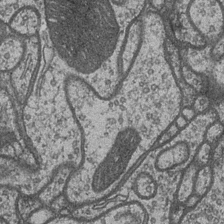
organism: Drosophila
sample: Optic medulla